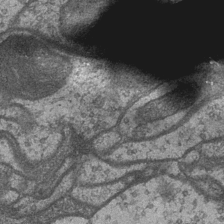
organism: Drosophila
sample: Optic medulla